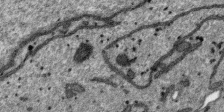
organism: Human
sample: Lung epithelial cells, uninfected (mock) control